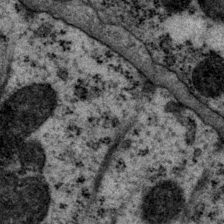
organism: P. pacificus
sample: Pharynx